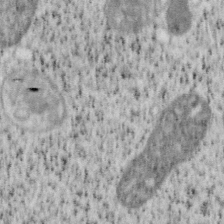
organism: Mouse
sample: OT-I killer T cells with ID8 ovarian cancer cells